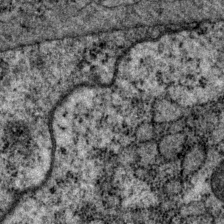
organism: P. pacificus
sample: Pharynx